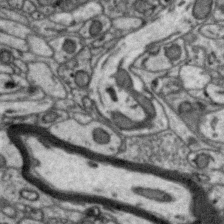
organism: Zebra finch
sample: Brain